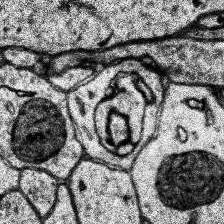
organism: Human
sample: Temporal Lobe